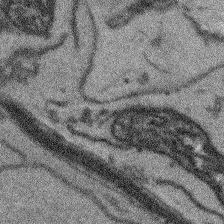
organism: Arabidopsis thaliana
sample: Root tip